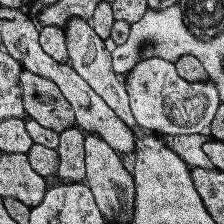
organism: Human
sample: Temporal Lobe